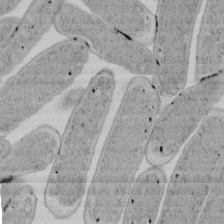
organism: E. coli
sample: Bacterial nucleoid